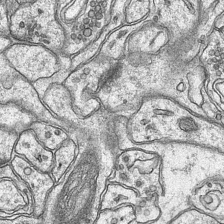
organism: Mouse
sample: CA1 Hippocampus